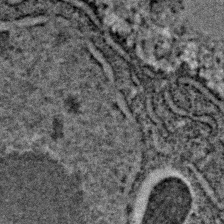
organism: C. elegans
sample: C. elegans embryo